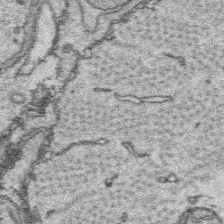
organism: Platynereis dumerilii